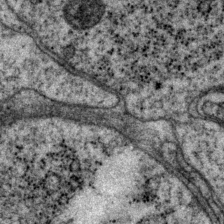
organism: P. pacificus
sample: Pharynx